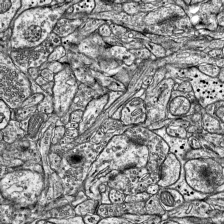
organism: Mouse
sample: Visual Cortex